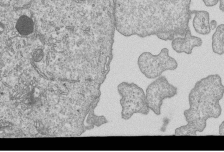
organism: Human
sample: MDA-MB-231 cells